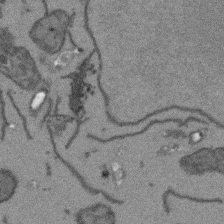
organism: Arabidopsis thaliana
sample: Root tip